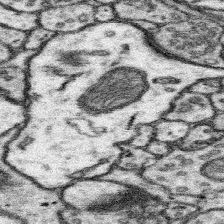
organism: Mouse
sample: Somatosensory cortex neuropil